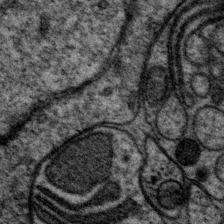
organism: P. pacificus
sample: Pharynx